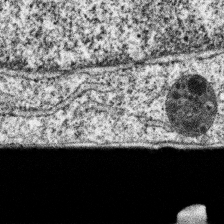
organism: Human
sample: HeLa cells